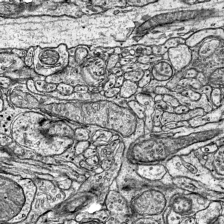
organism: Mouse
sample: Visual Cortex